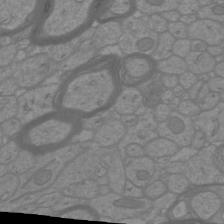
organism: Mouse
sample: Cortical neurons